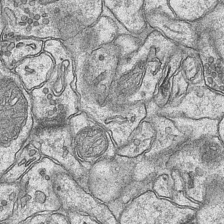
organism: Mouse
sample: CA1 Hippocampus